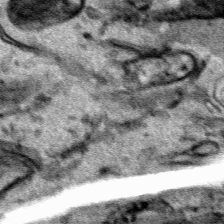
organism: Human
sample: Mitochondria in HCT116 cells